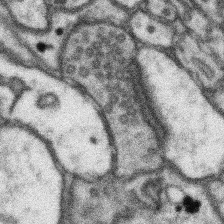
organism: Mouse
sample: Somatosensory cortex neuropil